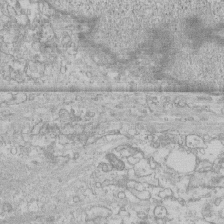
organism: Human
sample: CRL-1474